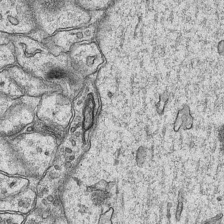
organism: Mouse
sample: CA1 Hippocampus